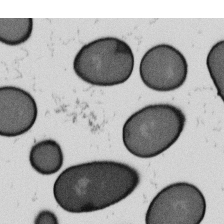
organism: B. subtilis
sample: Bacterial spore